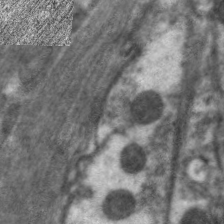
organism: C. elegans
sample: Pharynx